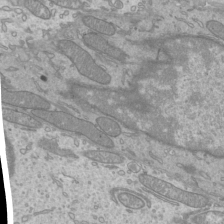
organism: Mouse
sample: Cilia; mouse epididymis